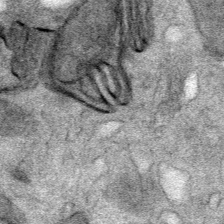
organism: Mouse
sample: Mouse Salivary gland